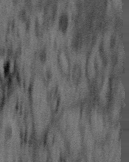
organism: Human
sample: HeLa cells